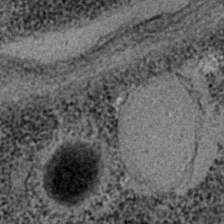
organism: C. elegans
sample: C. elegans embryo